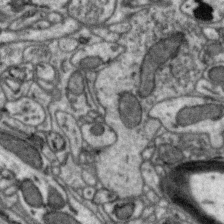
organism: Zebra finch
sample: Brain